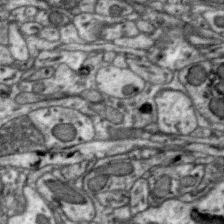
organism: Zebra finch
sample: Brain